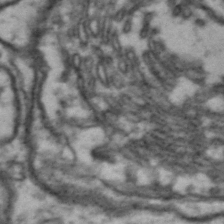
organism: Drosophila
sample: Brain